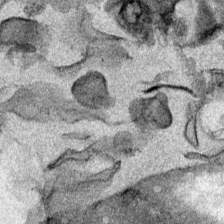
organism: Mouse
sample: Cancer cell death in ED-1 cells